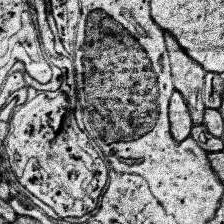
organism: Human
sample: Temporal Lobe